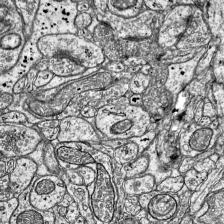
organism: Mouse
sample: Visual Cortex